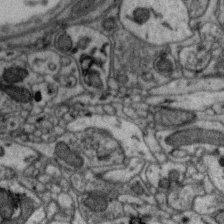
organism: Zebra finch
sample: Brain